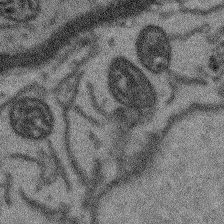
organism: Arabidopsis thaliana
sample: Root tip